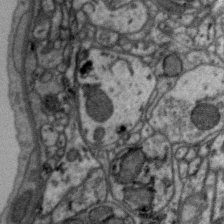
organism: Zebra finch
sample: Brain